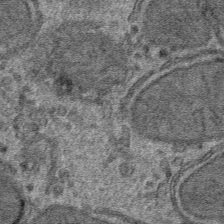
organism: Mouse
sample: Mouse hepatocytes